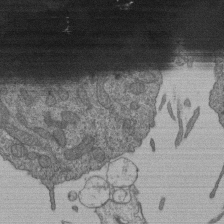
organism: Human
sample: Retinal organoid Rod and Cone cells